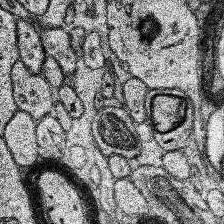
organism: Human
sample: Temporal Lobe